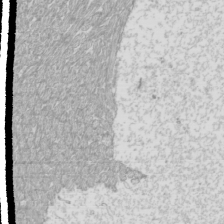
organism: Mouse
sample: Cilia; mouse epididymis